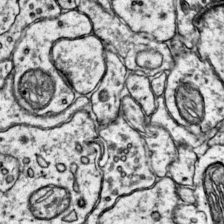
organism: Mouse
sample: Primary visual cortex